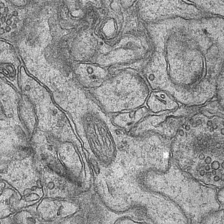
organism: Mouse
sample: CA1 Hippocampus